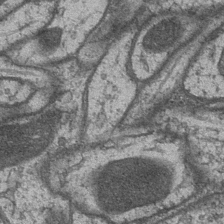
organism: Drosophila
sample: Optic medulla